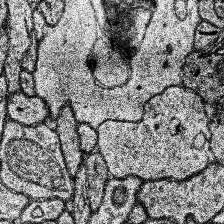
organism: Human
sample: Temporal Lobe